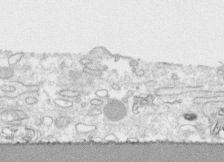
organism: Human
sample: CRL-1474